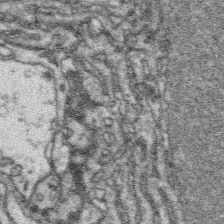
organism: Platynereis dumerilii